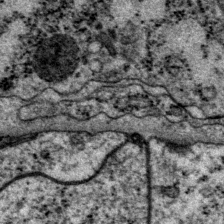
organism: P. pacificus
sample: Pharynx